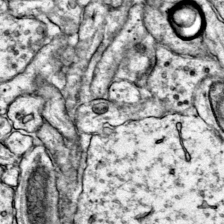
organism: Mouse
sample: Primary visual cortex